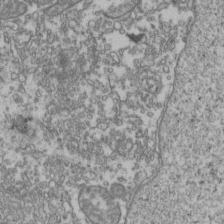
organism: Human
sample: Activated Jurkat CD4+ T cells